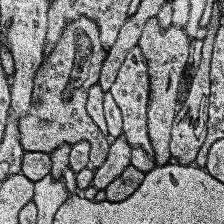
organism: Human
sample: Temporal Lobe